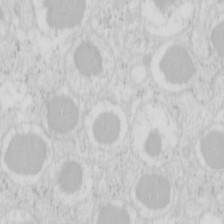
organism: Mouse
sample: Pancreas